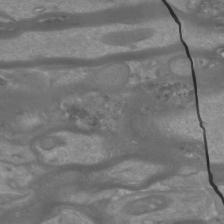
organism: Mouse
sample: Cortical neurons